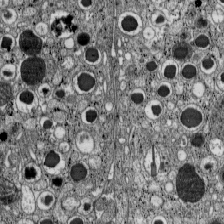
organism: C57BL Mouse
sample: Pancreatic islet